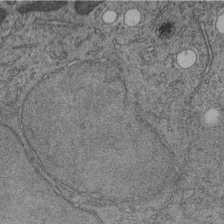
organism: C. elegans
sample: C. elegans embryo early stage